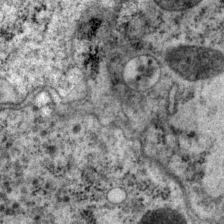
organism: P. pacificus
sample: Pharynx